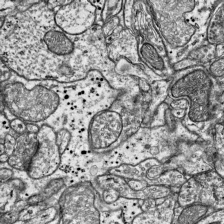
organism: Mouse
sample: Visual Cortex